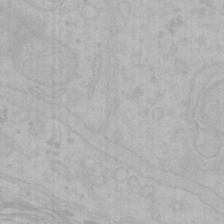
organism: Mouse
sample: Choroid plexus